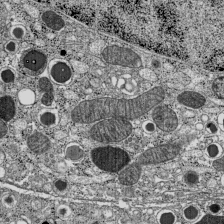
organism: C57BL Mouse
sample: Pancreatic islet